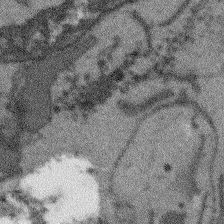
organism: Arabidopsis thaliana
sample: Root tip